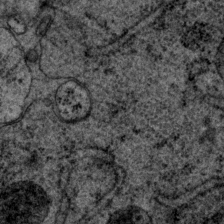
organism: P. pacificus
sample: Pharynx